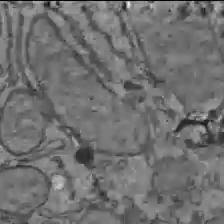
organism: C57BL Mouse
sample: Liver